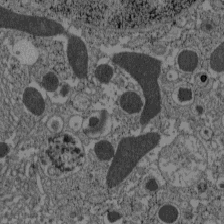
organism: C57BL Mouse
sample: Pancreatic islet